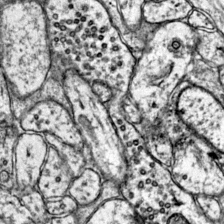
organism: Mouse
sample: Primary visual cortex